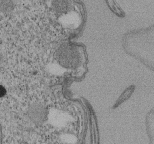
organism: Tetrahymena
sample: Cilia in tetrahymena